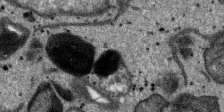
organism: Human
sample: Lung epithelial cells, uninfected (mock) control